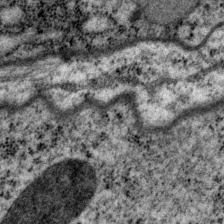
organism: P. pacificus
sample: Pharynx